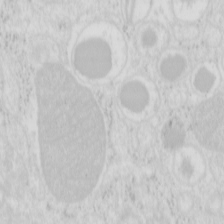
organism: Mouse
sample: Pancreas